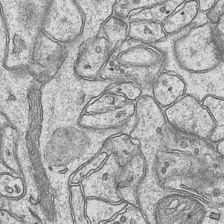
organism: Mouse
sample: CA1 Hippocampus